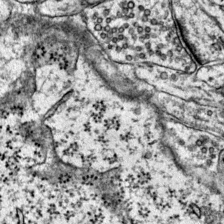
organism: Mouse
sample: Primary visual cortex